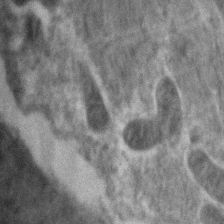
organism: Zebrafish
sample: Zebrafish embryo